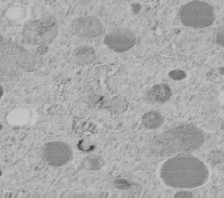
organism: C. elegans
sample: C. elegans embryo early stage